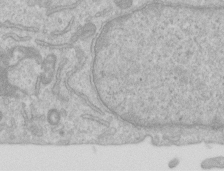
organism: Human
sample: Centriole in RPE cells